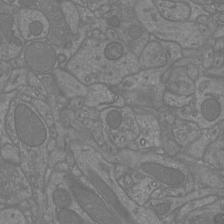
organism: Mouse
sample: Cortical neurons